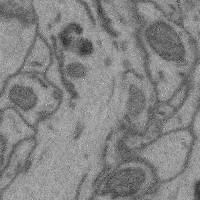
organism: Mouse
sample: Cerebral cortex